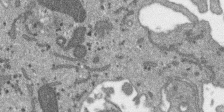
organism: Human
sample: Lung epithelial cells infected with SARS-CoV-2